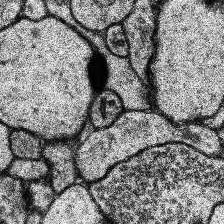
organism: Human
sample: Temporal Lobe